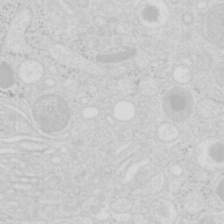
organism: Mouse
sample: Pancreas